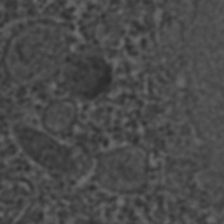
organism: C. elegans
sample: C. elegans embryo